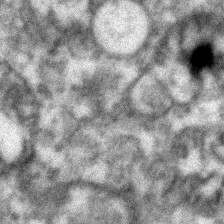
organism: Zebrafish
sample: Zebrafish embryo